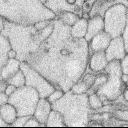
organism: Rabbit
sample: Retina